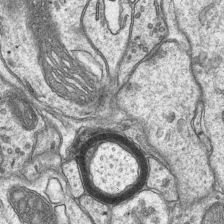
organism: Mouse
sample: CA1 Hippocampus